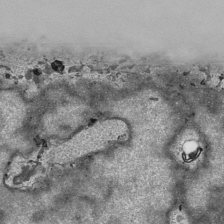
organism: Human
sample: Mitochondria in HCT116 cells